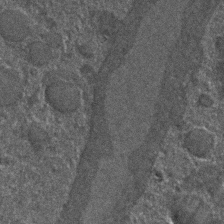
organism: C. elegans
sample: C. elegans embryo